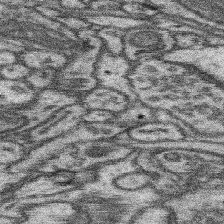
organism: Mouse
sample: Somatosensory cortex neuropil